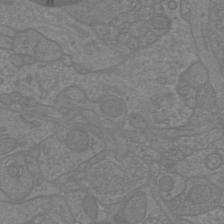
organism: Mouse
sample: Cortical neurons